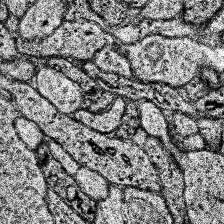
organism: Human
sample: Temporal Lobe